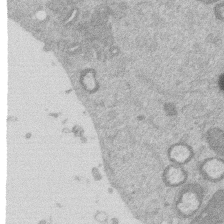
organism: Mouse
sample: Dividing mouse embryo 1 cell stage